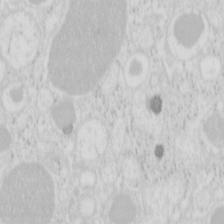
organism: Mouse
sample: Pancreas